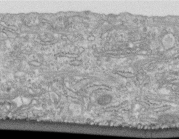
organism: Human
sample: Centriole in fibroblast cells